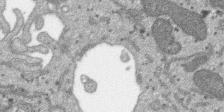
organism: Human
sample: Lung epithelial cells infected with SARS-CoV-2